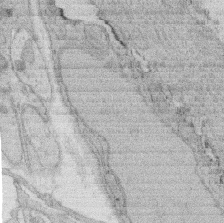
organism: Rat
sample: Salivary granule